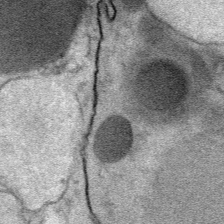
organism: Mouse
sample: Mouse Salivary gland